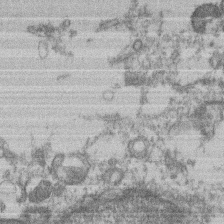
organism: Mouse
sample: T cell stromal cell synapse